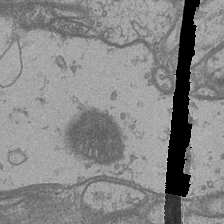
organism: Drosophila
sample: Optic medulla